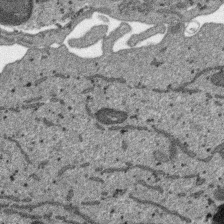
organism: Human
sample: Lung epithelial cells infected with SARS-CoV-2